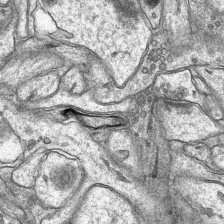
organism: Mouse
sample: CA1 Hippocampus